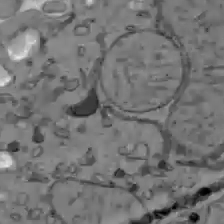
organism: C57BL Mouse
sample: Liver